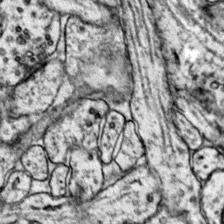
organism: Mouse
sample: Primary visual cortex